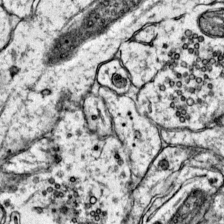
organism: Mouse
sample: Primary visual cortex